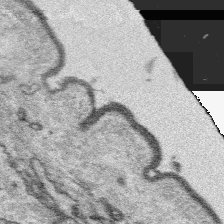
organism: Platynereis dumerilii